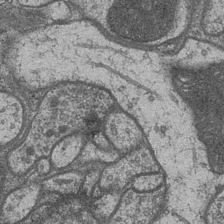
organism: Drosophila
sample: Optic medulla